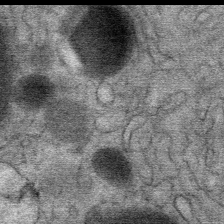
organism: Mouse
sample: Mouse Salivary gland